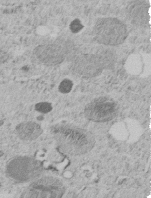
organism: C. elegans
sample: C. elegans embryo early stage